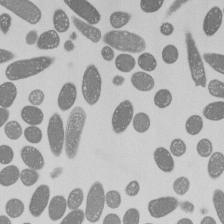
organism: E. coli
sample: Bacterial nucleoid